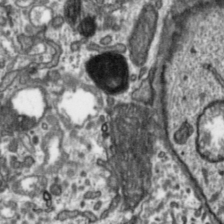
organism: Toxoplasma gondii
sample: Parasites in a vacuole inside a host cell